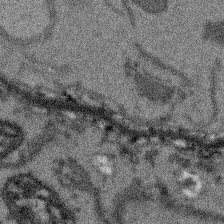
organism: Arabidopsis thaliana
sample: Root tip